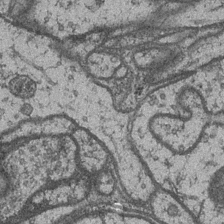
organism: Drosophila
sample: Optic medulla